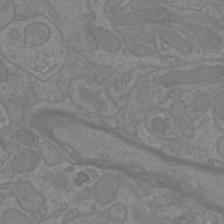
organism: Mouse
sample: Cortical neurons